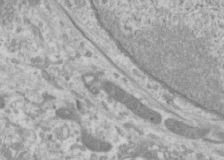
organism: Human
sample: Cilia; basal body in RPE cells